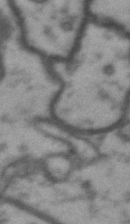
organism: Drosophila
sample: Brain